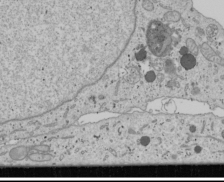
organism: Human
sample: Mitochondria in U2OS cells